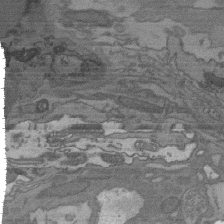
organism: C. elegans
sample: AFD neurons C. elegans